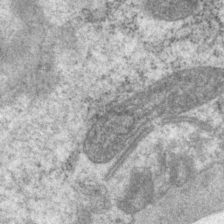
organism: P. pacificus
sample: Pharynx